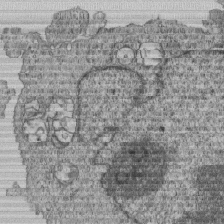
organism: Human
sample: MDA-MB-231 cells